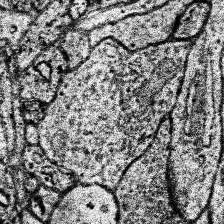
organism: Human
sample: Temporal Lobe